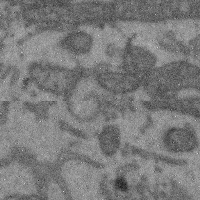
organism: Mouse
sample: Cerebral cortex